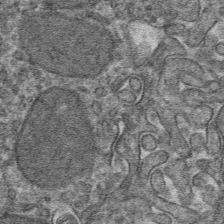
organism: Mouse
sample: Mouse hepatocytes